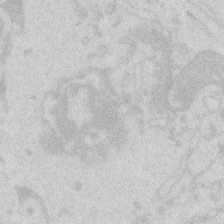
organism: Zebrafish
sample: Macrophage